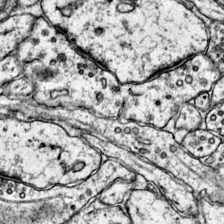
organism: Mouse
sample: Primary visual cortex